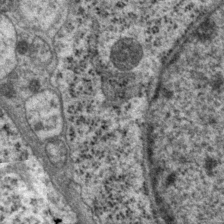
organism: P. pacificus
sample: Pharynx